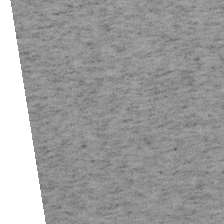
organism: Mouse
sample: OT-I killer T cells with ID8 ovarian cancer cells